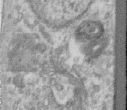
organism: Human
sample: Centriole in RPE cells